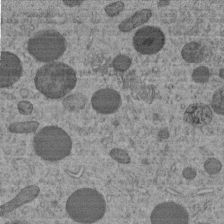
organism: C. elegans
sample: C. elegans embryo early stage